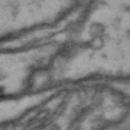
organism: Drosophila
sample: Brain